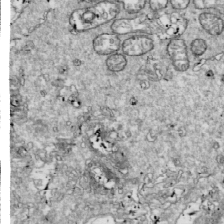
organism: Drosophila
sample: Cell division; meiosis; drosophila spermatocytes